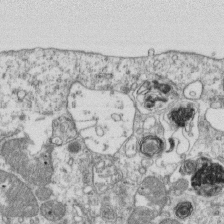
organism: Mouse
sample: Activated OT-1 CD8+ T cells